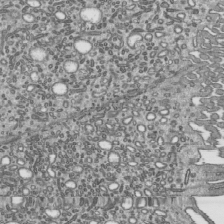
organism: Mouse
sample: Mouse epididymis efferent ductule cilia